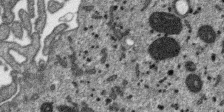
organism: Human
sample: Lung epithelial cells infected with SARS-CoV-2